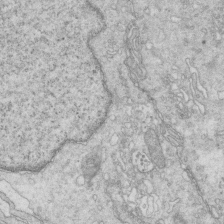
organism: Mouse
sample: Multiciliated cells